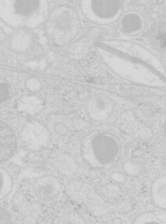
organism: Mouse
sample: Pancreas